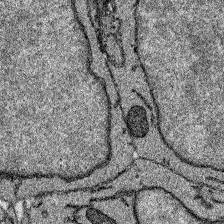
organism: Zebrafish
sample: Larval olfactory bulb